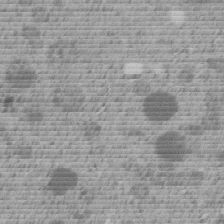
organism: C. elegans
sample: C. elegans embryo early stage